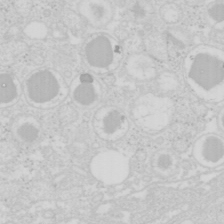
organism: Mouse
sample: Pancreas